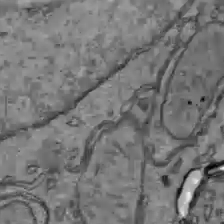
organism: C57BL Mouse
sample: Liver